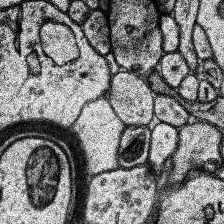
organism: Human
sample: Temporal Lobe